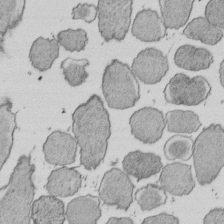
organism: E. coli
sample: Bacterial nucleoid